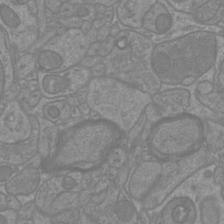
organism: Mouse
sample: Cortical neurons